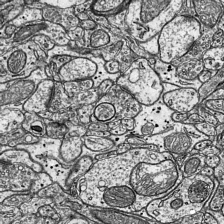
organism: Mouse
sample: Visual Cortex